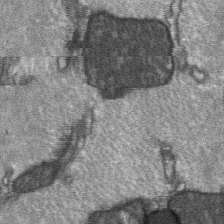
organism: C57BL Mouse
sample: Soleus